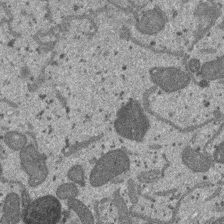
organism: Human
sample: Lung epithelial cells infected with SARS-CoV-2